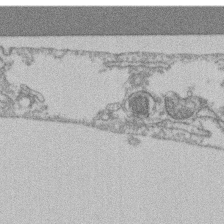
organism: Mouse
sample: T cell stromal cell synapse